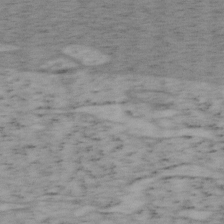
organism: Mouse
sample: OT-I killer T cells with ID8 ovarian cancer cells